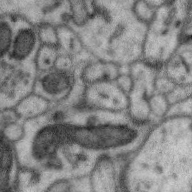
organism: Zebra finch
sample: Brain